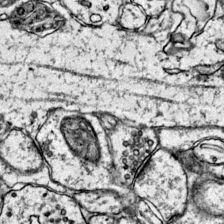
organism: Mouse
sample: Primary visual cortex